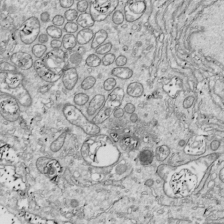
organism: Drosophila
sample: Cell division; meiosis; drosophila spermatocytes